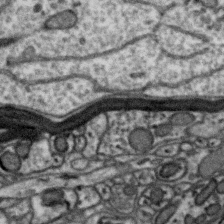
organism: Zebra finch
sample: Brain